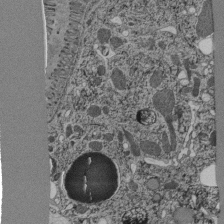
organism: C. elegans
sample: C. elegans pharynx